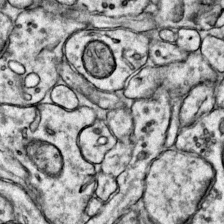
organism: Mouse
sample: Primary visual cortex